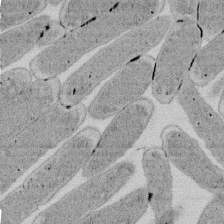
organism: E. coli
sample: Bacterial nucleoid